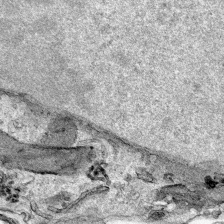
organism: Human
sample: Mitochondria in HCT116 cells